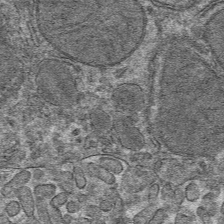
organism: Mouse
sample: Mouse hepatocytes